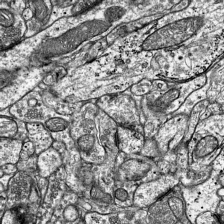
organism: Mouse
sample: Visual Cortex